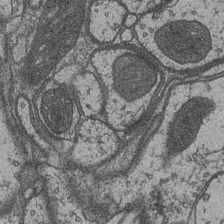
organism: Drosophila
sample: Optic medulla